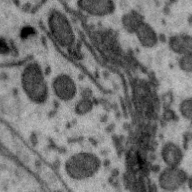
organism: Zebra finch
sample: Brain